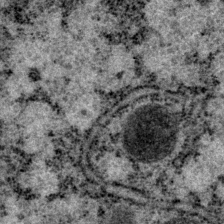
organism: P. pacificus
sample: Pharynx